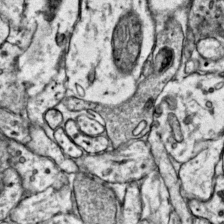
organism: Mouse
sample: Primary visual cortex